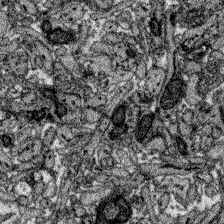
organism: Zebrafish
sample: Larval olfactory bulb